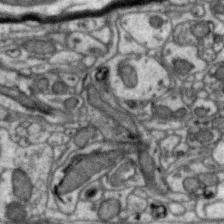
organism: Zebra finch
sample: Brain